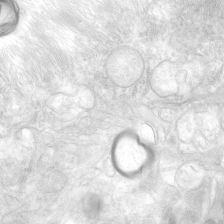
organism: Human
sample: Neocortex